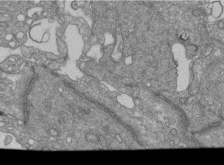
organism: Human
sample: Retinal organoid Rod and Cone cells